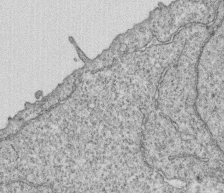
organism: Human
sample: HeLa cell HIV synapse